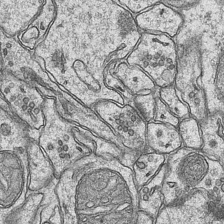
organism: Mouse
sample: CA1 Hippocampus